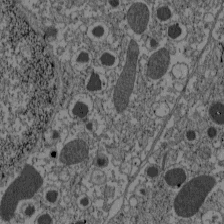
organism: C57BL Mouse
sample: Pancreatic islet